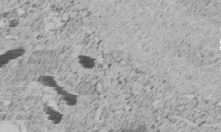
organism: C. elegans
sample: C. elegans embryo early stage